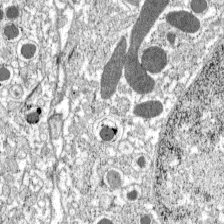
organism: C57BL Mouse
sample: Pancreatic islet